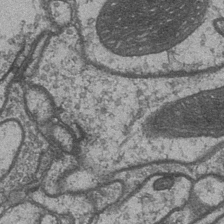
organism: Drosophila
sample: Optic medulla